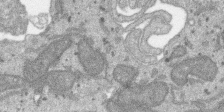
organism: Human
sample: Lung epithelial cells infected with SARS-CoV-2